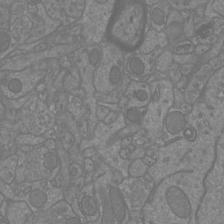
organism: Mouse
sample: Cortical neurons